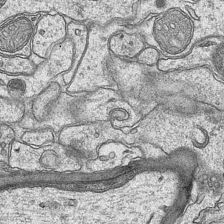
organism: Mouse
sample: CA1 Hippocampus